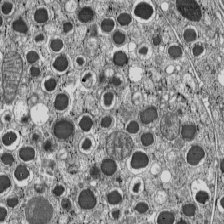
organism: C57BL Mouse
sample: Pancreatic islet